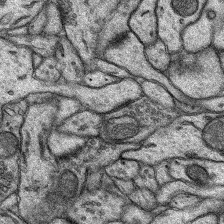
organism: Rat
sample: Hippocampus